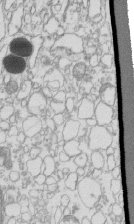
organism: Mouse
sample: Macrophages